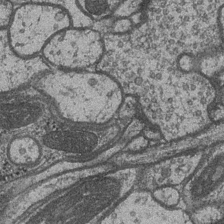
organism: Drosophila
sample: Optic medulla